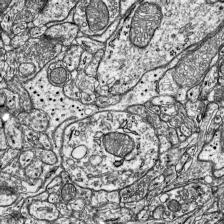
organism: Mouse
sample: Visual Cortex